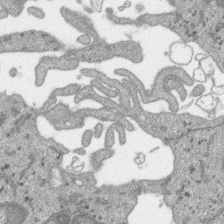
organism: Human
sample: Lung epithelial cells infected with SARS-CoV-2